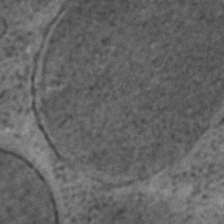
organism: C. elegans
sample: C. elegans embryo